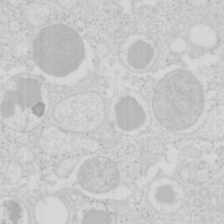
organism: Mouse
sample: Pancreas